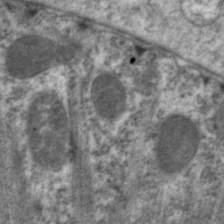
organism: C. elegans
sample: Pharynx